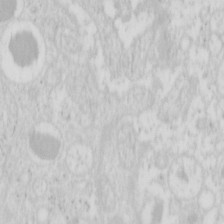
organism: Mouse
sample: Pancreas